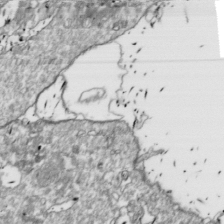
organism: Drosophila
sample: Cell division; meiosis; drosophila spermatocytes